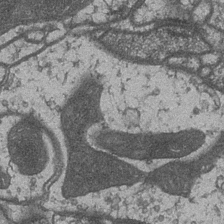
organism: Drosophila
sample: Optic medulla